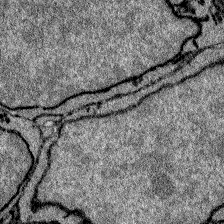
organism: Zebrafish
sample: Larval olfactory bulb